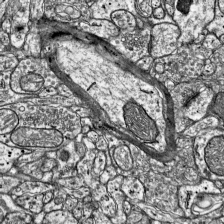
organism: Mouse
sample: Visual Cortex